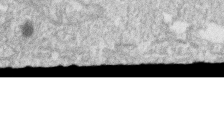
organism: Human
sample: HeLa cell HIV synapse